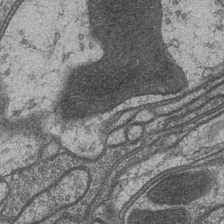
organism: Drosophila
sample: Optic medulla